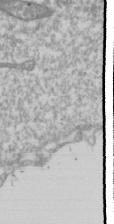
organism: Drosophila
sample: Cell division; meiosis; drosophila spermatocytes